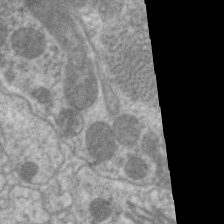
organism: C. elegans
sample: Pharynx